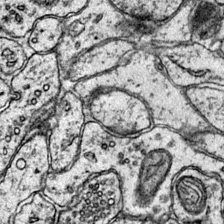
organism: Mouse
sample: Primary visual cortex